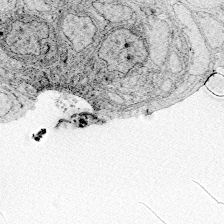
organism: Zebrafish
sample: Whole-Brain